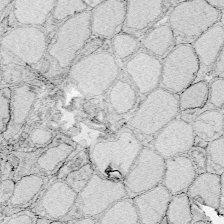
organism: Zebrafish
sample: Whole-Brain